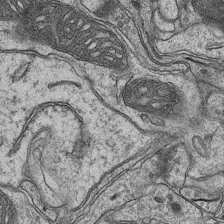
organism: Mouse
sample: CA1 Hippocampus